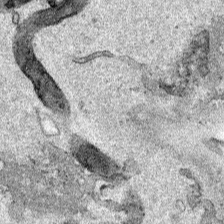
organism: Human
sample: Mitochondria in HCT116 cells